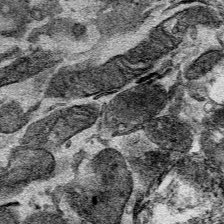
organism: Mouse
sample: Cancer cell death in ED-1 cells